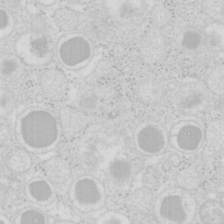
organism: Mouse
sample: Pancreas